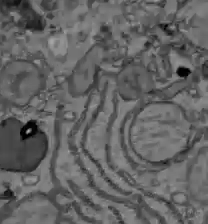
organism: C57BL Mouse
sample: Liver